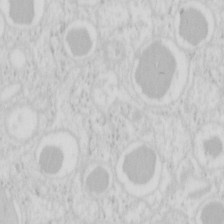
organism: Mouse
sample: Pancreas